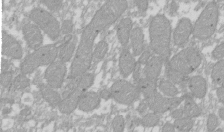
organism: Xenopus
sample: Cilia; centrioles in frog embryo cells